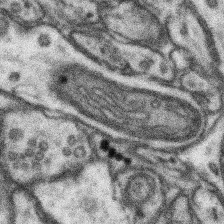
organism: Mouse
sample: Somatosensory cortex neuropil